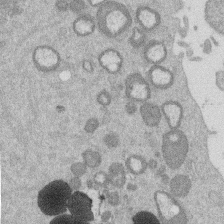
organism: Mouse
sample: Dividing mouse embryo 1 cell stage